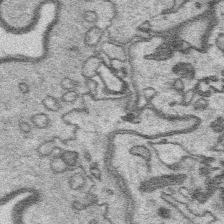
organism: Platynereis dumerilii